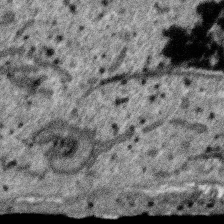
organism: Human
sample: Lung epithelial cells infected with SARS-CoV-2